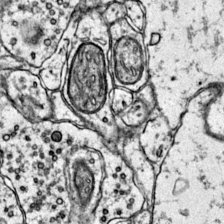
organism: Mouse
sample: Primary visual cortex